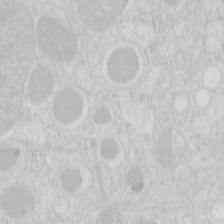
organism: Mouse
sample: Pancreas